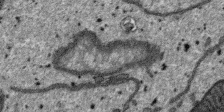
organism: Human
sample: Lung epithelial cells, uninfected (mock) control